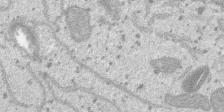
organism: Human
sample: Lung epithelial cells infected with SARS-CoV-2